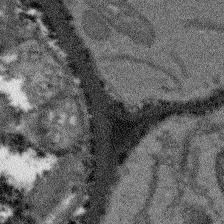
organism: Arabidopsis thaliana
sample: Root tip